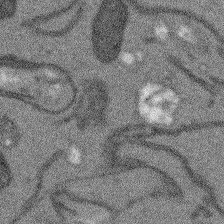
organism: Arabidopsis thaliana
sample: Root tip